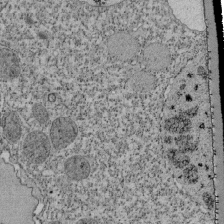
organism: Tetrahymena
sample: Cilia in tetrahymena